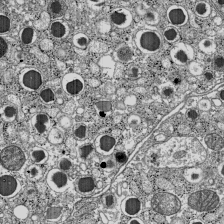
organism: C57BL Mouse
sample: Pancreatic islet